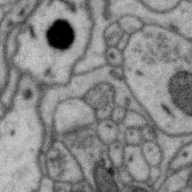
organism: Zebra finch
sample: Brain